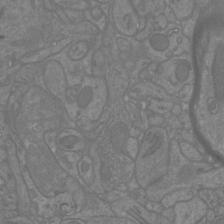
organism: Mouse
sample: Cortical neurons